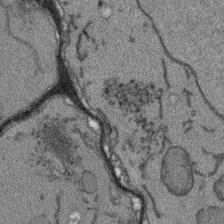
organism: Arabidopsis thaliana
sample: Root tip